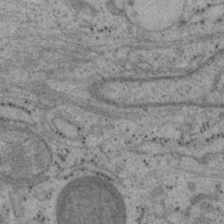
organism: Human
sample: HeLa cells